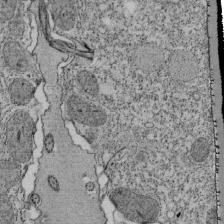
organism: Tetrahymena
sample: Cilia in tetrahymena